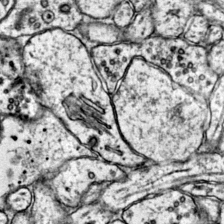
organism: Mouse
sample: Primary visual cortex